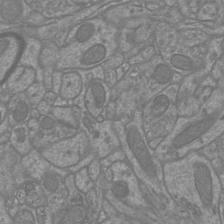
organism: Mouse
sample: Cortical neurons